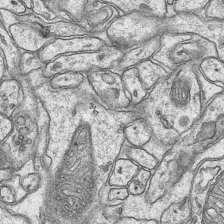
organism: Mouse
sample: CA1 Hippocampus